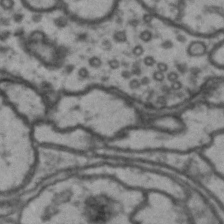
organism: Drosophila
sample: Brain